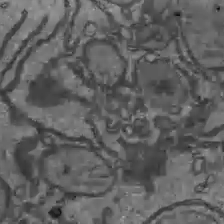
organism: C57BL Mouse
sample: Liver